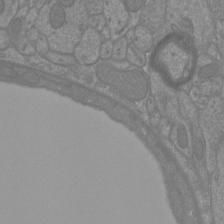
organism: Mouse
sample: Cortical neurons